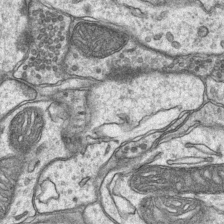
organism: Mouse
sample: CA1 Hippocampus